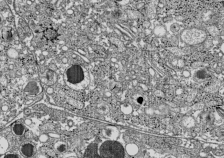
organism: C57BL Mouse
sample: Pancreatic islet